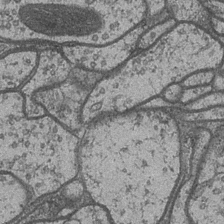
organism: Drosophila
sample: Optic medulla